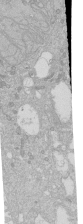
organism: Human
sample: Caco-2 cells